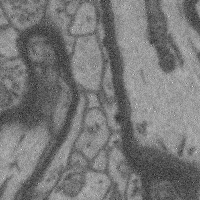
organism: Mouse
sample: Cerebral cortex